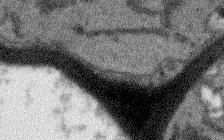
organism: Arabidopsis thaliana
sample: Root tip